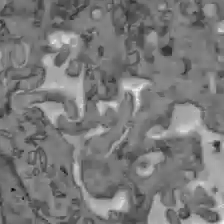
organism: C57BL Mouse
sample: Liver